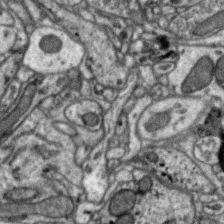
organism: Zebra finch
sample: Brain